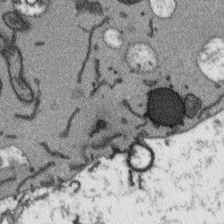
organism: Arabidopsis thaliana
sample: Root tip